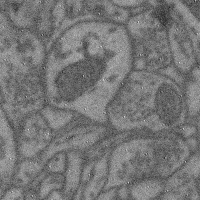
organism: Mouse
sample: Cerebral cortex